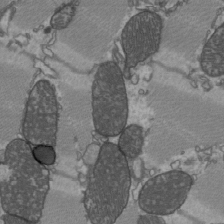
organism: C57BL Mouse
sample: Heart